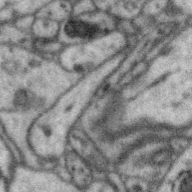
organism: Zebra finch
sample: Brain